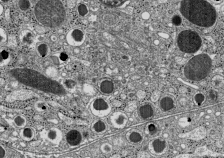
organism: C57BL Mouse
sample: Pancreatic islet